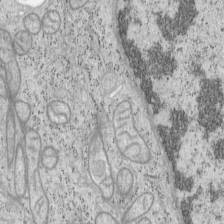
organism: Mouse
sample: OT-I killer T cells with ID8 ovarian cancer cells